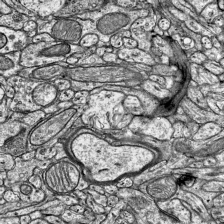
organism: Mouse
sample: Visual Cortex